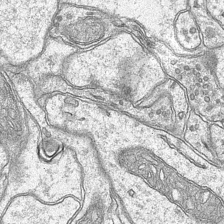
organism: Mouse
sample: CA1 Hippocampus